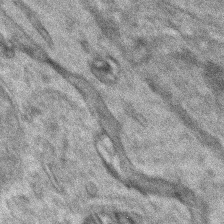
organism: Zebrafish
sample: Zebrafish embryo